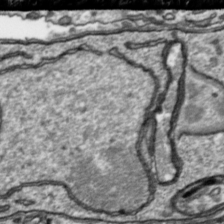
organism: Toxoplasma gondii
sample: Parasites in a vacuole inside a host cell